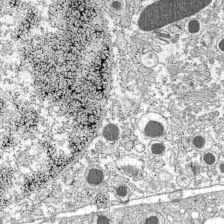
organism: C57BL Mouse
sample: Pancreatic islet